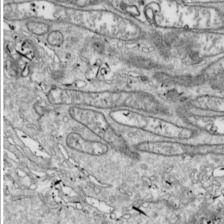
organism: Drosophila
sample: Cell division; meiosis; drosophila spermatocytes